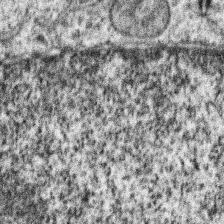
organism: Human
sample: HeLa cells